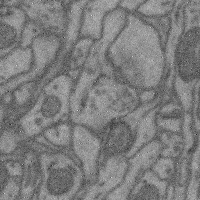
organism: Mouse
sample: Cerebral cortex